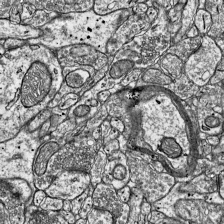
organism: Mouse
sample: Visual Cortex